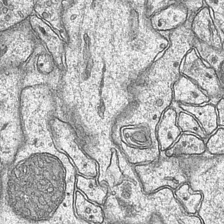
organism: Mouse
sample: CA1 Hippocampus